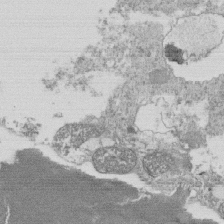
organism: Tetrahymena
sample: Cilia in tetrahymena